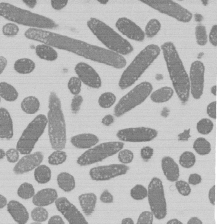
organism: E. coli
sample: Bacterial nucleoid